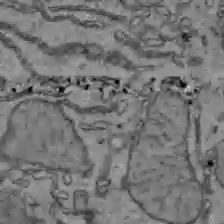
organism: C57BL Mouse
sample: Liver